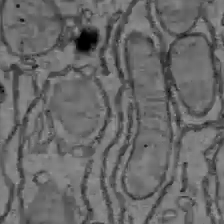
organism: C57BL Mouse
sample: Liver